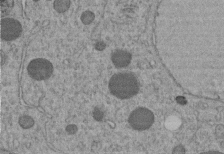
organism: C. elegans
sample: C. elegans embryo early stage